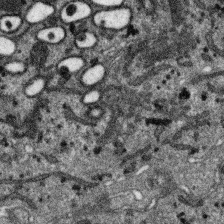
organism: Human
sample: Lung epithelial cells infected with SARS-CoV-2